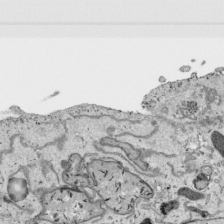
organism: Human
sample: Mitochondria in HCT116 cells